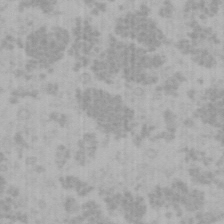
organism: Mouse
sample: Choroid plexus